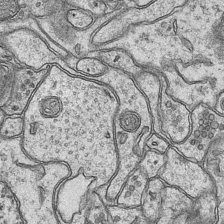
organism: Mouse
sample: CA1 Hippocampus